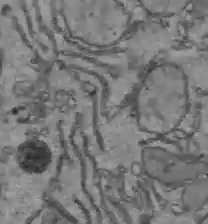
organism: C57BL Mouse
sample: Liver